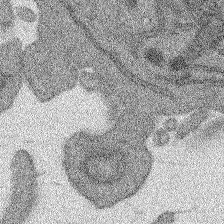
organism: Human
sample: HeLa cells